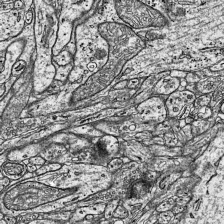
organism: Mouse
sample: Visual Cortex